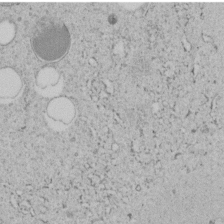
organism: C. elegans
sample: C. elegans embryo early stage